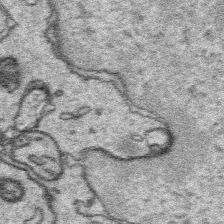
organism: Platynereis dumerilii